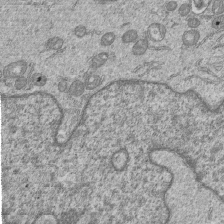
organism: Human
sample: MDA-MB-231 cells